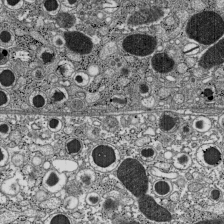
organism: C57BL Mouse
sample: Pancreatic islet